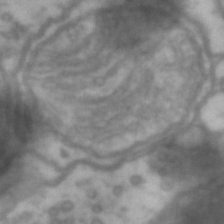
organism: Drosophila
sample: Brain